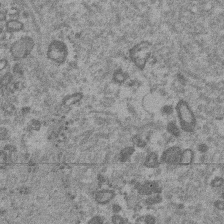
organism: Mouse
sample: Dividing mouse embryo 1 cell stage